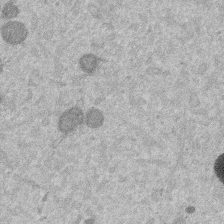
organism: Mouse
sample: Dividing mouse embryo 1 cell stage